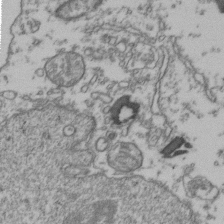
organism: Human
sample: Activated Jurkat CD4+ T cells